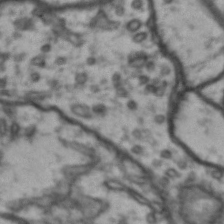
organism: Drosophila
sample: Brain